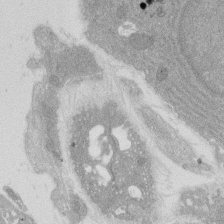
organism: Rat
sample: Salivary granule